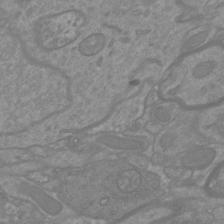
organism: Mouse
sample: Cortical neurons